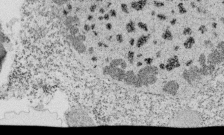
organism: Tetrahymena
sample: Cilia in tetrahymena